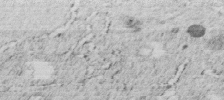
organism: C. elegans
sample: C. elegans embryo early stage